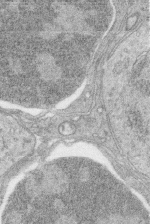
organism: Zebrafish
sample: synaptic ribbons in rod cells and cone cells